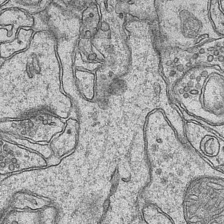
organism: Mouse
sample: CA1 Hippocampus